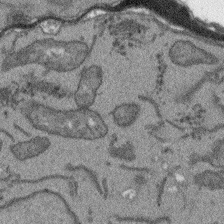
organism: Arabidopsis thaliana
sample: Root tip